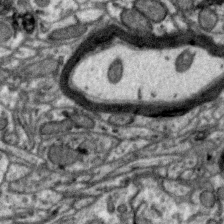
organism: Zebra finch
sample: Brain